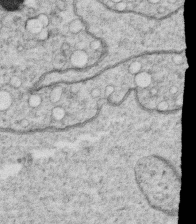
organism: C. elegans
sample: C. elegans oocyte; sperm cells